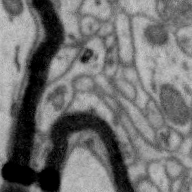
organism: Zebra finch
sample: Brain